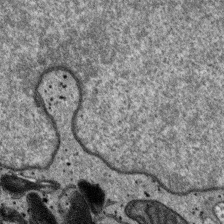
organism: Human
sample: Lung epithelial cells, uninfected (mock) control